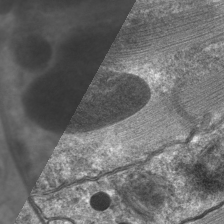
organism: C. elegans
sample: Pharynx